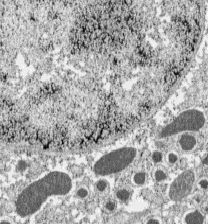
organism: C57BL Mouse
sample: Pancreatic islet